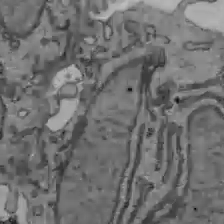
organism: C57BL Mouse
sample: Liver